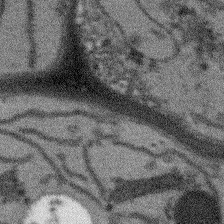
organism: Arabidopsis thaliana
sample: Root tip